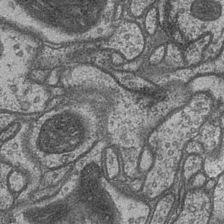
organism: Drosophila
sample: Optic medulla